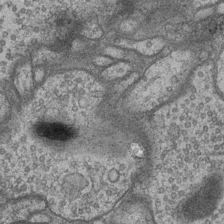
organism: Drosophila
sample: Optic medulla